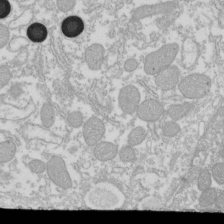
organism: Xenopus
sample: Cilia; centrioles in frog embryo cells